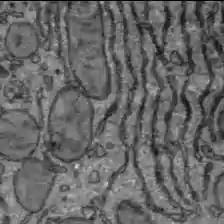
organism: C57BL Mouse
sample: Liver